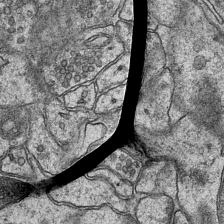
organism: Mouse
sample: CA1 Hippocampus